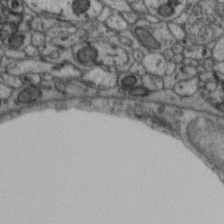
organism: Zebra finch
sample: Brain